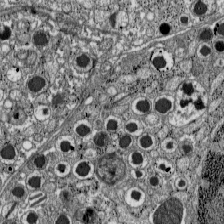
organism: C57BL Mouse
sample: Pancreatic islet